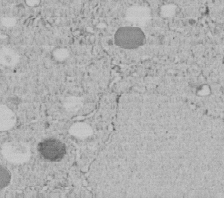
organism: C. elegans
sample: C. elegans embryo early stage